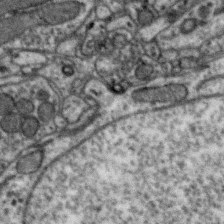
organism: Zebra finch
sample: Brain